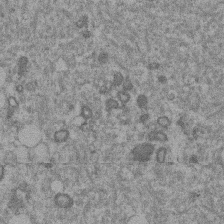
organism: Mouse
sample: Dividing mouse embryo 1 cell stage